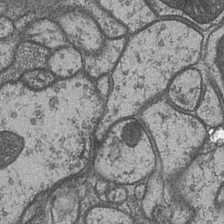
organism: Drosophila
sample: Optic medulla